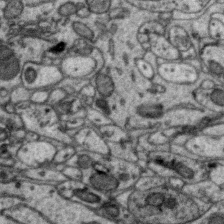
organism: Zebra finch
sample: Brain